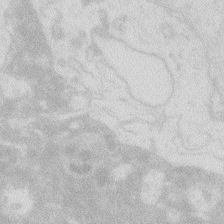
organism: Zebrafish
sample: Macrophage